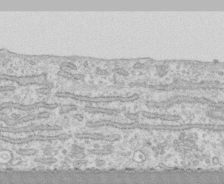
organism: Human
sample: CRL-1474